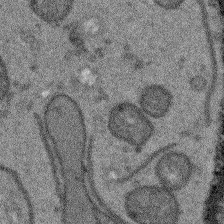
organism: Arabidopsis thaliana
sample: Root tip